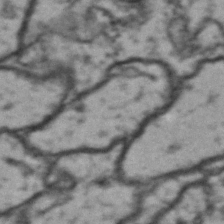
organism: Drosophila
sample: Brain